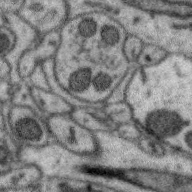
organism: Zebra finch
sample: Brain